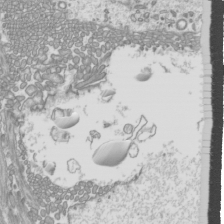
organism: Mouse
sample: Cilia; mouse epididymis